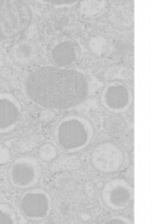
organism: Mouse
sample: Pancreas